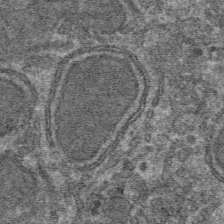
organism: Mouse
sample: Mouse hepatocytes